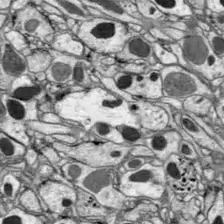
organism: Drosophila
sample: Optic lobe